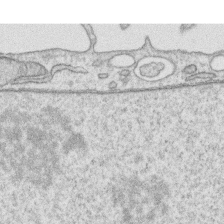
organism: Human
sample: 1205lu cells